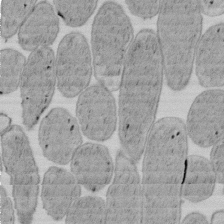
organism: E. coli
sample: Bacterial nucleoid